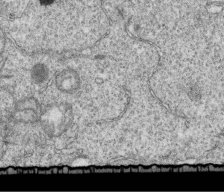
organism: Human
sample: HeLa cell HIV synapse